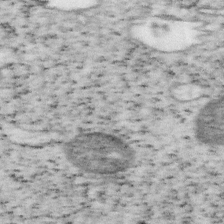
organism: Mouse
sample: OT-I killer T cells with ID8 ovarian cancer cells